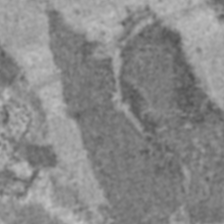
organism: C57BL Mouse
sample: Heart